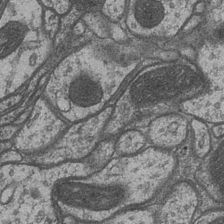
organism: Drosophila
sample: Optic medulla